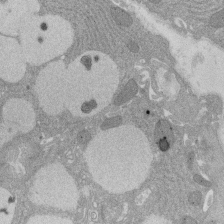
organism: Rat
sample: Salivary granule